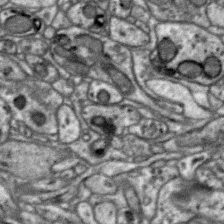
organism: Zebra finch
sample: Brain